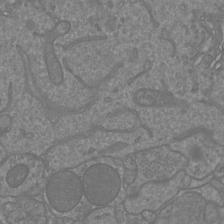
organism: Mouse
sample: Cortical neurons